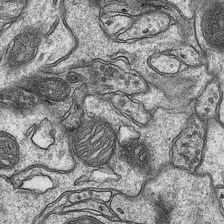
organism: Mouse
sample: CA1 Hippocampus